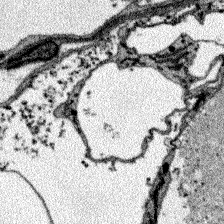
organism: Zebrafish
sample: Larval olfactory bulb